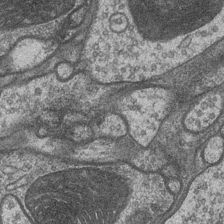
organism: Drosophila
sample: Optic medulla